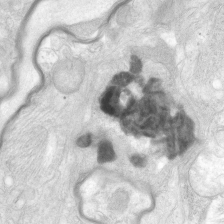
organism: Human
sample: Neocortex